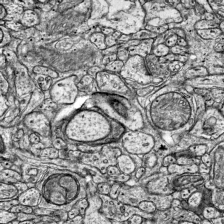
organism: Mouse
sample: Visual Cortex